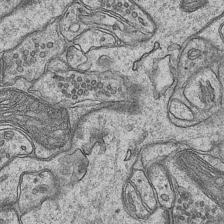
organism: Mouse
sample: CA1 Hippocampus